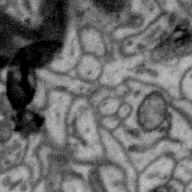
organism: Zebra finch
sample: Brain